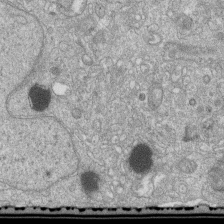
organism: Human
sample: HeLa cell HIV synapse